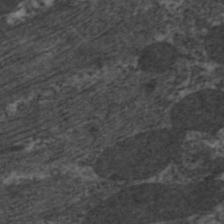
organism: C. elegans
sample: Pharynx